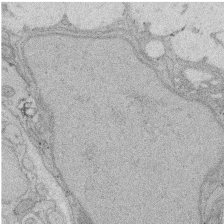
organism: Rat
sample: Salivary granule